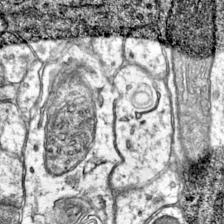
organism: Mouse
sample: Primary visual cortex